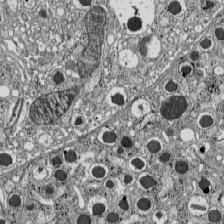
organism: C57BL Mouse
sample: Pancreatic islet